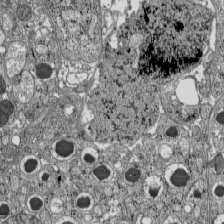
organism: C57BL Mouse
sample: Pancreatic islet